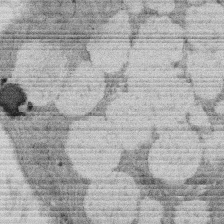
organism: Rat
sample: Salivary granule